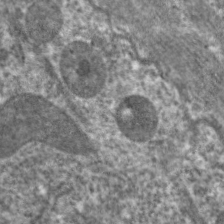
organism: C. elegans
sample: Pharynx